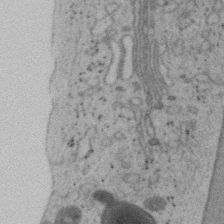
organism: Human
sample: HeLa cells